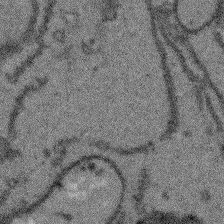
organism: Arabidopsis thaliana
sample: Root tip